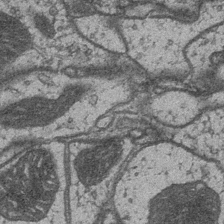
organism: Drosophila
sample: Optic medulla